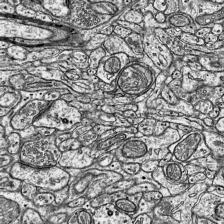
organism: Mouse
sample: Visual Cortex